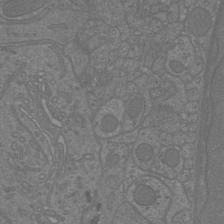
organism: Mouse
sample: Cortical neurons